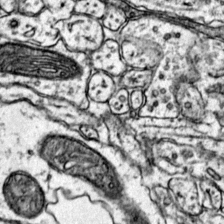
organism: Mouse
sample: Primary visual cortex